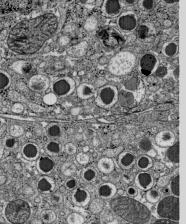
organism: C57BL Mouse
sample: Pancreatic islet